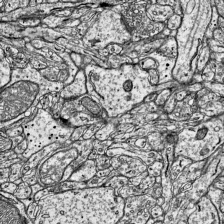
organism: Mouse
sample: Visual Cortex